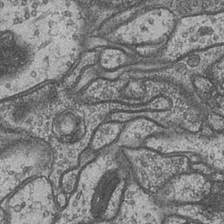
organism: Drosophila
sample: Optic medulla